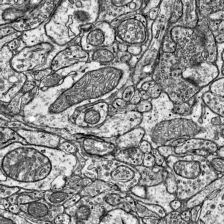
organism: Mouse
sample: Visual Cortex